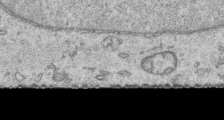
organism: Human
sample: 1205lu cells